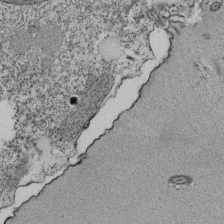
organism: Tetrahymena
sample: Cilia in tetrahymena